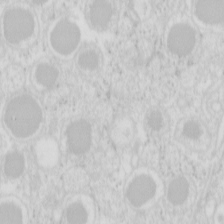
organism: Mouse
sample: Pancreas